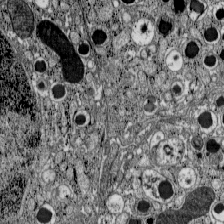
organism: C57BL Mouse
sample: Pancreatic islet